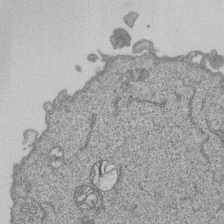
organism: Human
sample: MDA-MB-231 cells